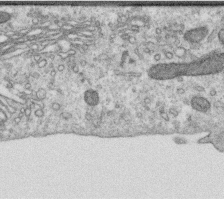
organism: Human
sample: Centriole in RPE cells